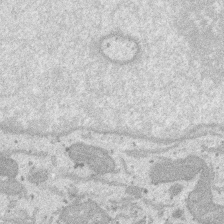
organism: Human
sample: Lung epithelial cells infected with SARS-CoV-2